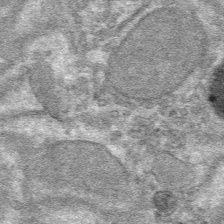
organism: Mouse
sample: Mouse hepatocytes